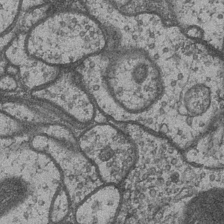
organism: Drosophila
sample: Optic medulla